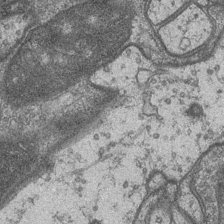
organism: Drosophila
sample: Optic medulla